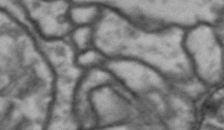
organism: Drosophila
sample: Brain